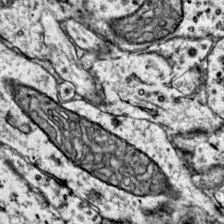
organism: Mouse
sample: Primary visual cortex